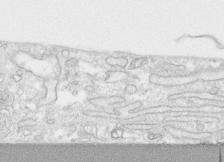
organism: Human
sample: CRL-1474